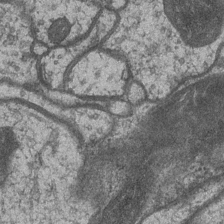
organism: Drosophila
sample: Optic medulla